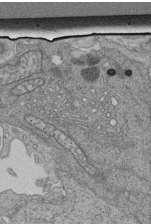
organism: Human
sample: Retinal organoid Rod and Cone cells